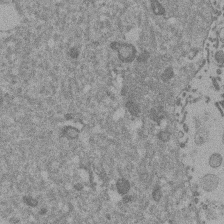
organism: Mouse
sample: Dividing mouse embryo 1 cell stage